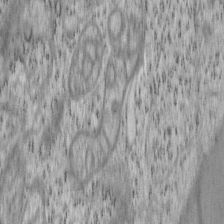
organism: Human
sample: HeLa cells